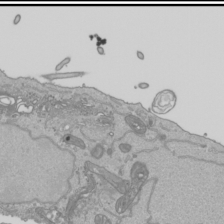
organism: Human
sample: Mitochondria in HCT116 cells